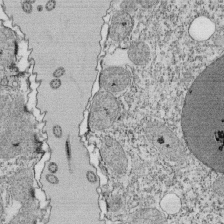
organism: Tetrahymena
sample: Cilia in tetrahymena